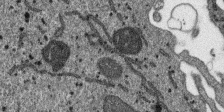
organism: Human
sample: Lung epithelial cells infected with SARS-CoV-2